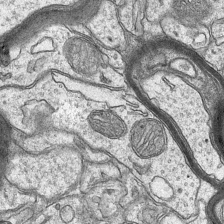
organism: Mouse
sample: CA1 Hippocampus